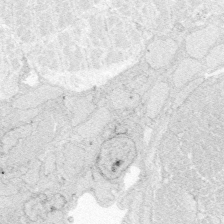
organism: Zebrafish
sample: Whole-Brain